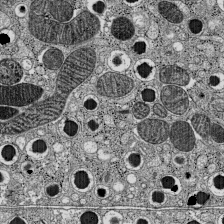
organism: C57BL Mouse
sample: Pancreatic islet